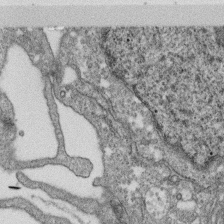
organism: African green monkey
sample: Vero E6 cells infected with SARS-CoV-2